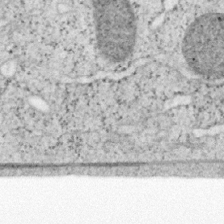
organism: Mouse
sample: OT-I killer T cells with ID8 ovarian cancer cells